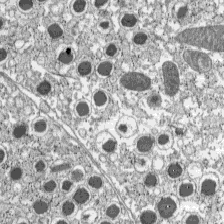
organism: C57BL Mouse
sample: Pancreatic islet